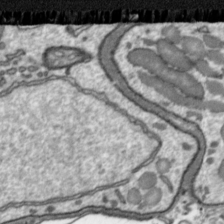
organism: Toxoplasma gondii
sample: Parasites in a vacuole inside a host cell